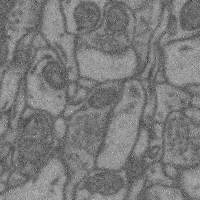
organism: Mouse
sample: Cerebral cortex